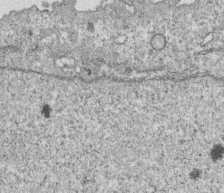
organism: Human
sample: HeLa cell HIV synapse